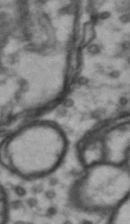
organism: Drosophila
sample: Brain